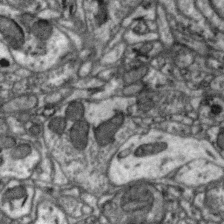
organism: Zebra finch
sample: Brain